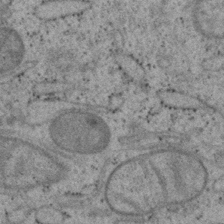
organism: Human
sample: HeLa cells